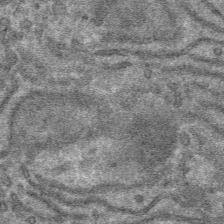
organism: Mouse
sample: Mouse hepatocytes